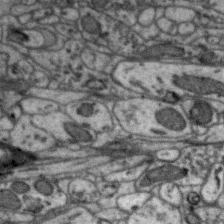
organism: Zebra finch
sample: Brain